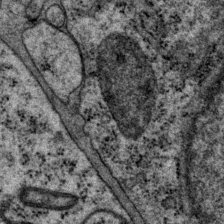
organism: P. pacificus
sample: Pharynx